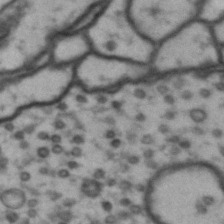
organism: Drosophila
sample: Brain